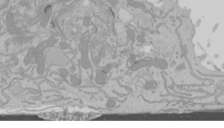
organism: Mouse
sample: Cancer cell death in ED-1 cells